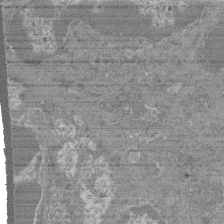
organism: Mouse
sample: Glomerulus